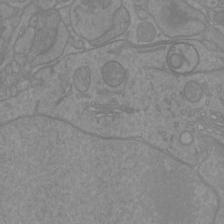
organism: Mouse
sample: Cortical neurons